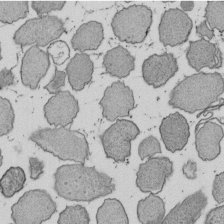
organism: E. coli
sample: Bacterial nucleoid